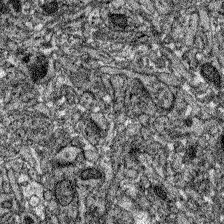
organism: Zebrafish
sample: Larval olfactory bulb